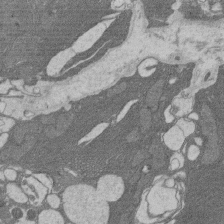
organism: Rat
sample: Salivary granule